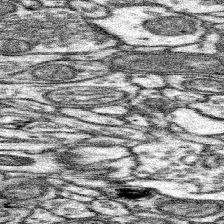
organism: Mouse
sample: Somatosensory cortex neuropil